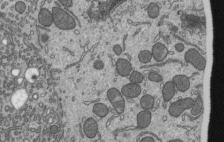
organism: Mouse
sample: Mouse epididymis efferent ductule cilia